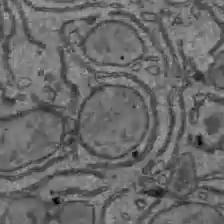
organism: C57BL Mouse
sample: Liver